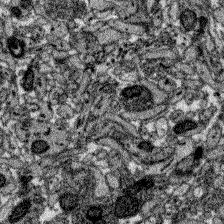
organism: Zebrafish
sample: Larval olfactory bulb